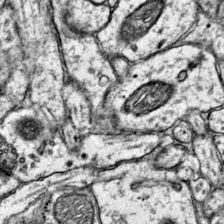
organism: Mouse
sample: Primary visual cortex